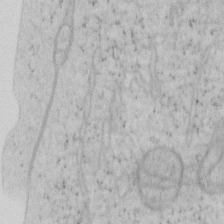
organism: Human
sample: HeLa cells